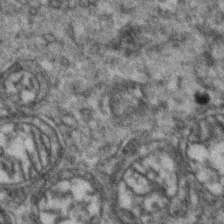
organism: Zebrafish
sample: Zebrafish embryo